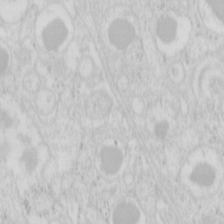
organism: Mouse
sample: Pancreas